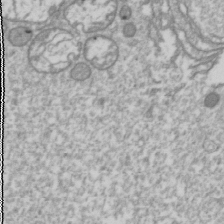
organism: Drosophila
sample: Cell division; meiosis; drosophila spermatocytes